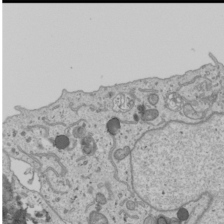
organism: Human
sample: Mitochondria in U2OS cells